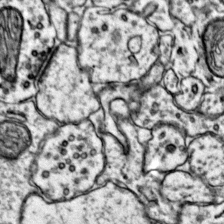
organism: Mouse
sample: Primary visual cortex